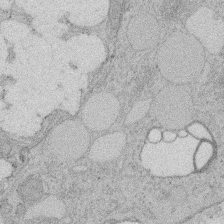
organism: Rat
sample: Salivary granule